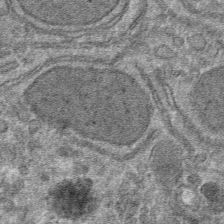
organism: Mouse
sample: Mouse hepatocytes